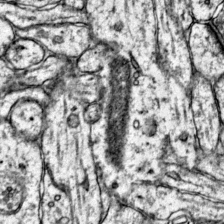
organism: Mouse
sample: Primary visual cortex